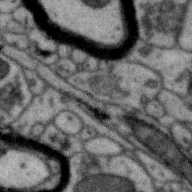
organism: Zebra finch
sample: Brain